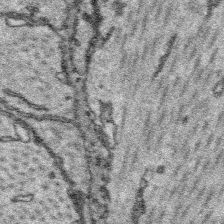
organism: Platynereis dumerilii